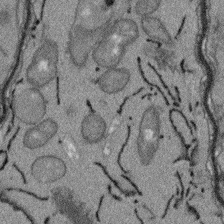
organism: Arabidopsis thaliana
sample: Root tip